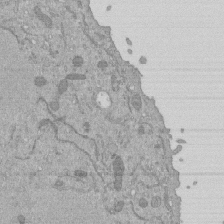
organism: Mouse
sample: ED-1 cell nuclei; centrioles